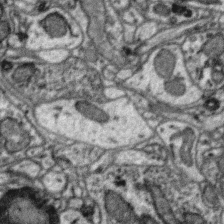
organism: Zebra finch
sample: Brain